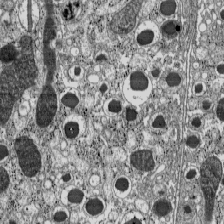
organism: C57BL Mouse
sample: Pancreatic islet